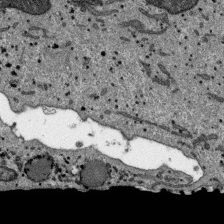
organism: Human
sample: Lung epithelial cells, uninfected (mock) control